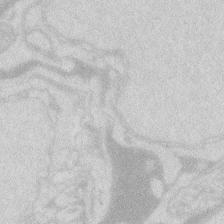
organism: Zebrafish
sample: Macrophage